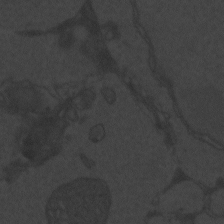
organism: Zebrafish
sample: Macrophage infected with Toxoplasma gondii